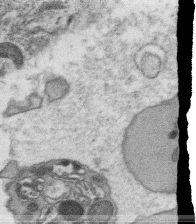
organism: C. elegans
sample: C. elegans oocyte; sperm cells